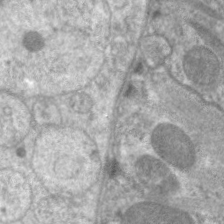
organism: C. elegans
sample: Pharynx